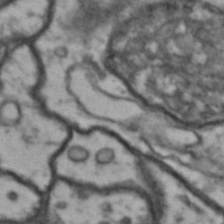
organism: Drosophila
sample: Brain